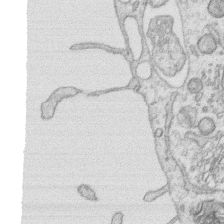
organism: Human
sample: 1205lu cells